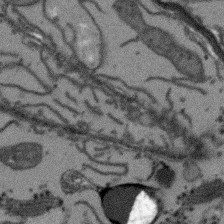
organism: Arabidopsis thaliana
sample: Root tip